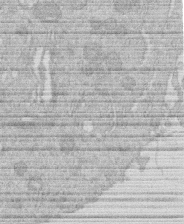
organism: Human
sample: Macrophage cells